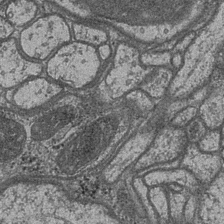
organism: Drosophila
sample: Optic medulla